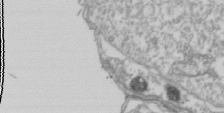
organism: Drosophila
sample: Cell division; meiosis; drosophila spermatocytes